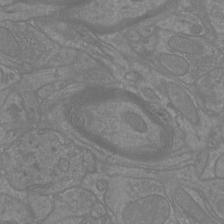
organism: Mouse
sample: Cortical neurons